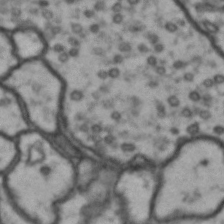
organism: Drosophila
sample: Brain